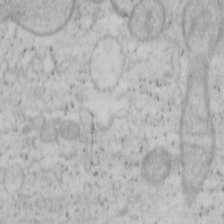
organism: Human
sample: HeLa cells